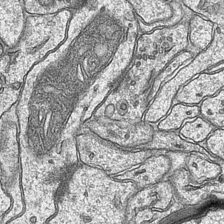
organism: Mouse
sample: CA1 Hippocampus